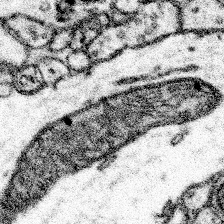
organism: Mouse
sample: Somatosensory cortex neuropil